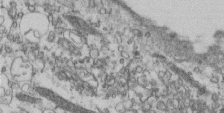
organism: Human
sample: Centriole in fibroblast cells